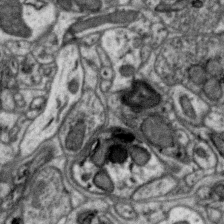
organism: Zebra finch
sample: Brain